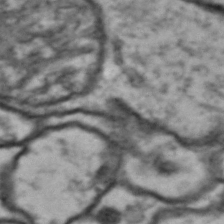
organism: Drosophila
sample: Brain